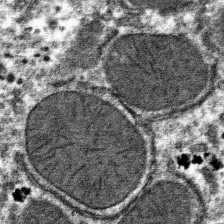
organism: Mouse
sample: Mouse hepatocytes